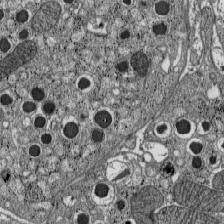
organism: C57BL Mouse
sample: Pancreatic islet